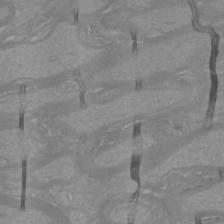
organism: Mouse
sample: Cortical neurons